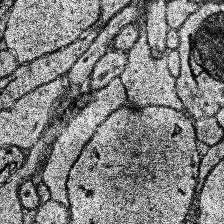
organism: Human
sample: Temporal Lobe